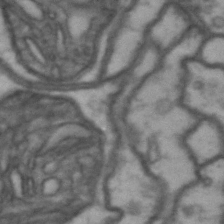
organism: Drosophila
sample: Brain